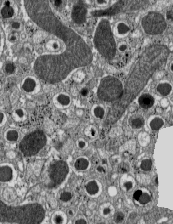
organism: C57BL Mouse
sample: Pancreatic islet